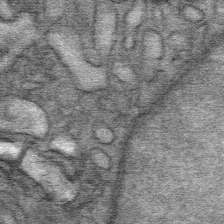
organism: Mouse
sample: Mouse Salivary gland